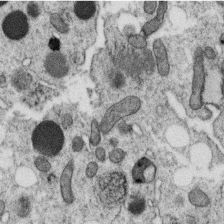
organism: C. elegans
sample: C. elegans oocyte; sperm cells